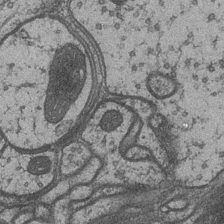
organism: Drosophila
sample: Optic medulla